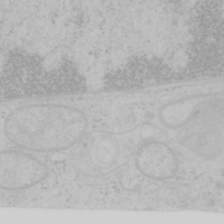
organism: Mouse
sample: OT-I killer T cells with ID8 ovarian cancer cells